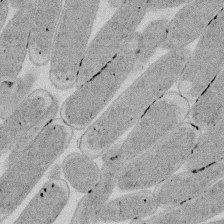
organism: E. coli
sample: Bacterial nucleoid